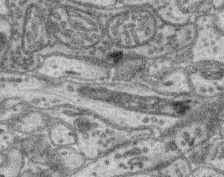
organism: Mouse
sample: Retina